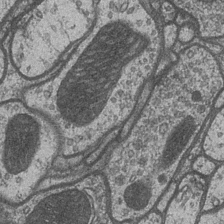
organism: Drosophila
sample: Optic medulla